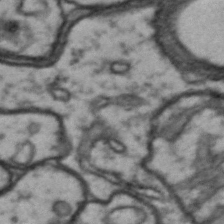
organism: Drosophila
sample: Brain